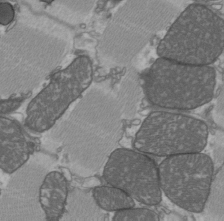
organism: C57BL Mouse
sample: Heart